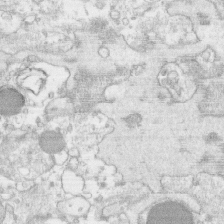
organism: Human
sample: CRL-1474